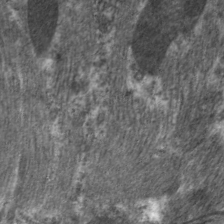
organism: C. elegans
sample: Pharynx